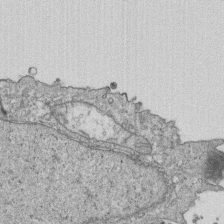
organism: Human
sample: HeLa cell HIV synapse